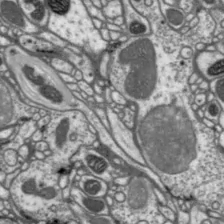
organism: Drosophila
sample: Protocerebral bridge